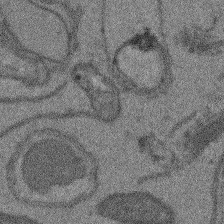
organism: Arabidopsis thaliana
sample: Root tip